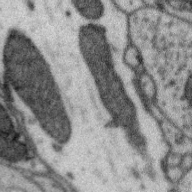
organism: Zebra finch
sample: Brain